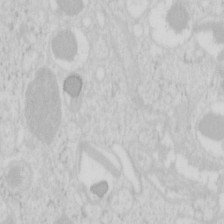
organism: Mouse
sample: Pancreas